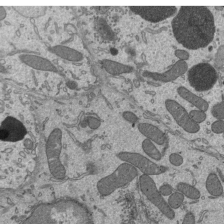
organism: Mouse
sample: Mouse epididymis efferent ductule cilia